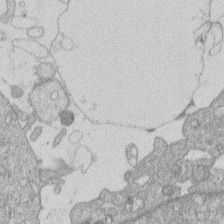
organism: Human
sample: Macrophage cells